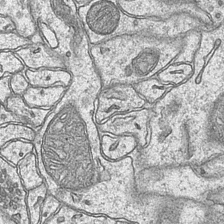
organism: Mouse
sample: CA1 Hippocampus